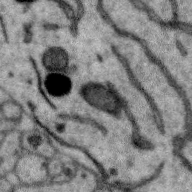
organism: Zebra finch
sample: Brain